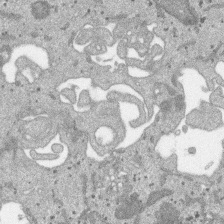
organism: Human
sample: Lung epithelial cells infected with SARS-CoV-2